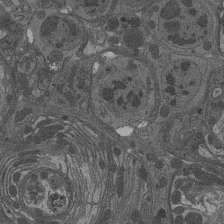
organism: Drosophila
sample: Antenna